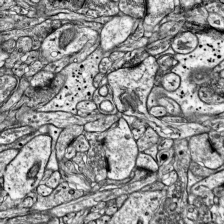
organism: Mouse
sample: Visual Cortex